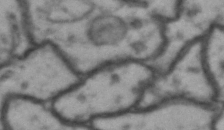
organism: Drosophila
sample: Brain